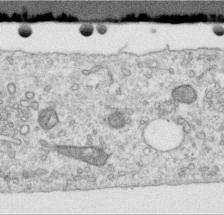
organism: Human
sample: Centriole in RPE cells